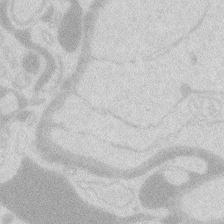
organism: Zebrafish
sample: Macrophage